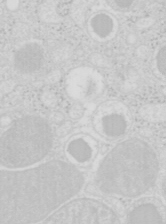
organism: Mouse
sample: Pancreas